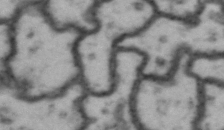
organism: Drosophila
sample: Brain